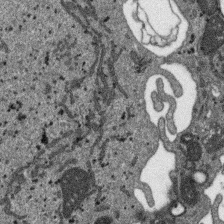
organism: Human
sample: Lung epithelial cells infected with SARS-CoV-2